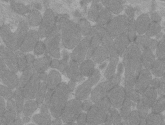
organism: C57BL Mouse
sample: Tibialis anterior muscle cell